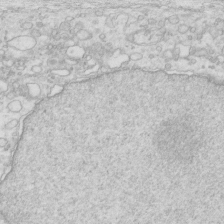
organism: Mouse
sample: Multiciliated cells